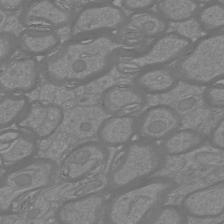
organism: Mouse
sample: Cortical neurons